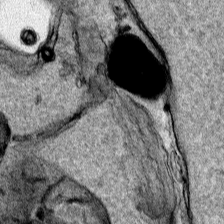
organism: Human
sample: Mitochondria in HCT116 cells